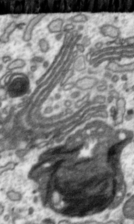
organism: Toxoplasma gondii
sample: Parasites in a vacuole inside a host cell